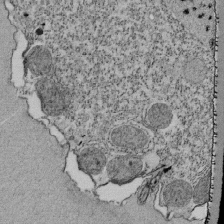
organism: Tetrahymena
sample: Cilia in tetrahymena